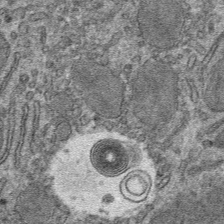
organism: Mouse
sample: Mouse hepatocytes